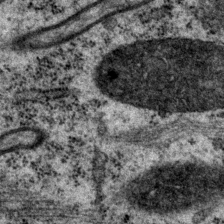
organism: P. pacificus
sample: Pharynx